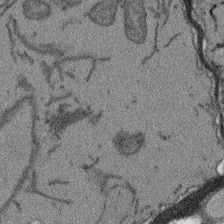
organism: Arabidopsis thaliana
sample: Root tip